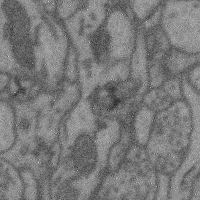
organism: Mouse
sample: Cerebral cortex